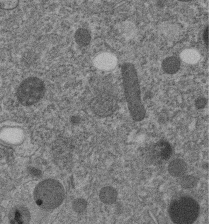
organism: C. elegans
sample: C. elegans embryo early stage